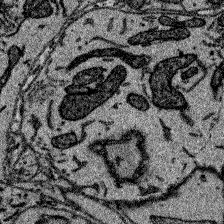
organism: Zebrafish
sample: Larval olfactory bulb